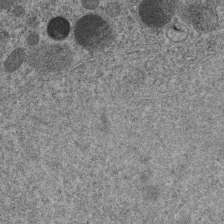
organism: C. elegans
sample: C. elegans embryo early stage